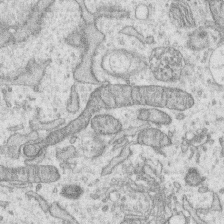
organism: Human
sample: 1205lu cells